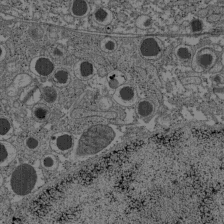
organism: C57BL Mouse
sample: Pancreatic islet